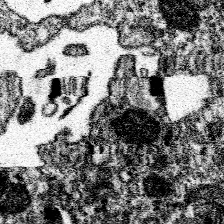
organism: Spongilla lacustris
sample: Neuroid cell